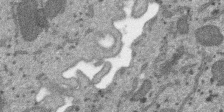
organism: Human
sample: Lung epithelial cells infected with SARS-CoV-2